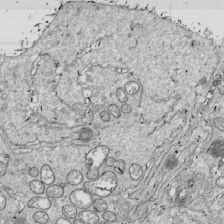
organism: Drosophila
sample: Cell division; meiosis; drosophila spermatocytes